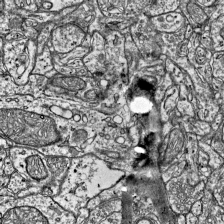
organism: Mouse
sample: Visual Cortex